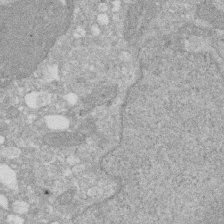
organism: Human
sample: HIV infected U937 cells